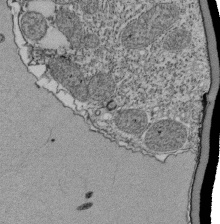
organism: Tetrahymena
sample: Cilia in tetrahymena